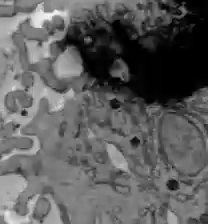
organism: C57BL Mouse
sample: Liver